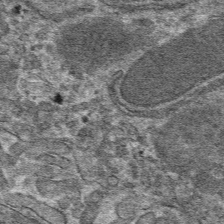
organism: Mouse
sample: Mouse hepatocytes